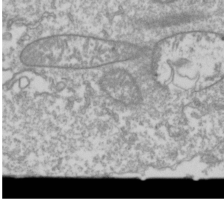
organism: Drosophila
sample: Cell division; meiosis; drosophila spermatocytes